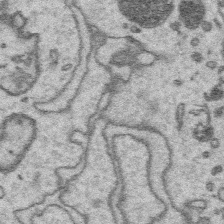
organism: Platynereis dumerilii